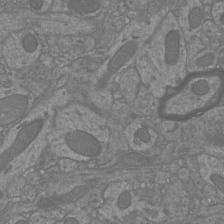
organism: Mouse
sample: Cortical neurons